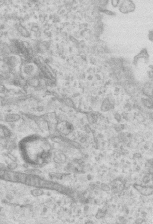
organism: Mouse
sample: Centriole in ependymal cells